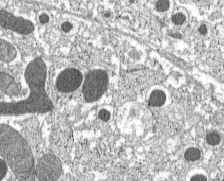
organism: C57BL Mouse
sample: Pancreatic islet